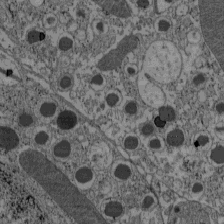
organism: C57BL Mouse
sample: Pancreatic islet